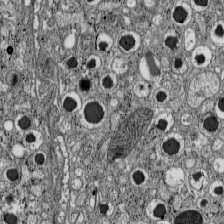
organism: C57BL Mouse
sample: Pancreatic islet